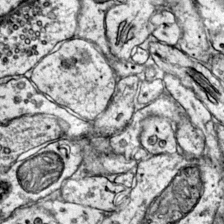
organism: Mouse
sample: Primary visual cortex